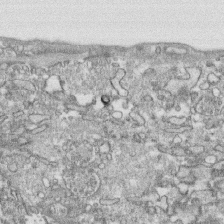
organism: Human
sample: CRL-1474